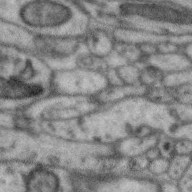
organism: Zebra finch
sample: Brain